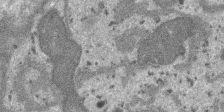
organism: Human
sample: Lung epithelial cells infected with SARS-CoV-2